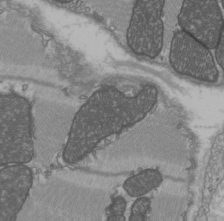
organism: C57BL Mouse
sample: Heart